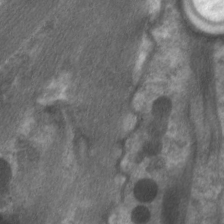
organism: C. elegans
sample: Pharynx